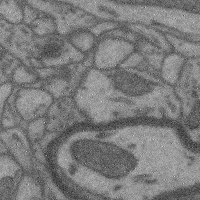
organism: Mouse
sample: Cerebral cortex